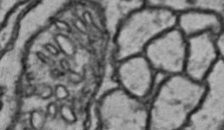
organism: Drosophila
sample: Brain